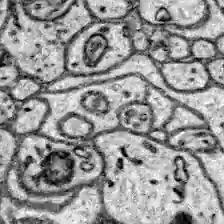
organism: Zebrafish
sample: Brain